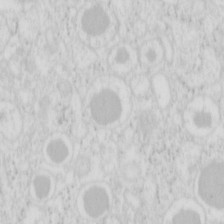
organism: Mouse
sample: Pancreas